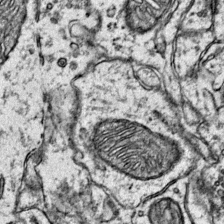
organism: Mouse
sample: Primary visual cortex